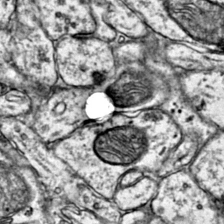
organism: Mouse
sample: Primary visual cortex